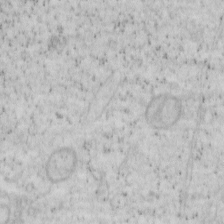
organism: Human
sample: HeLa cells